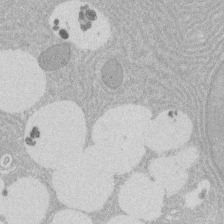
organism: Rat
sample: Salivary granule